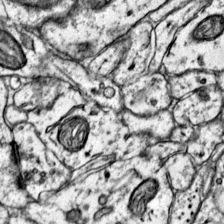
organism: Mouse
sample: Primary visual cortex